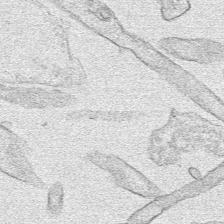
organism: Human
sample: Mitochondria in HCT116 cells